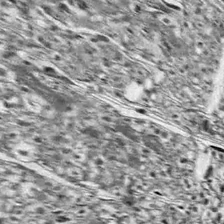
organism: Drosophila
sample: Optic lobe